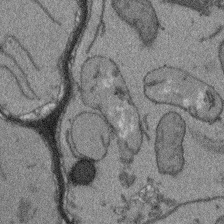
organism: Arabidopsis thaliana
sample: Root tip